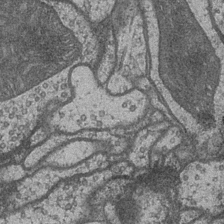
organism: Drosophila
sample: Optic medulla